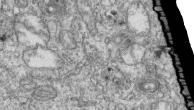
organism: Human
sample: HeLa cell HIV synapse